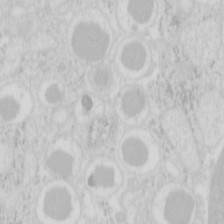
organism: Mouse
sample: Pancreas